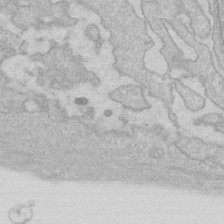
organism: Human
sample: Fibroblast cells